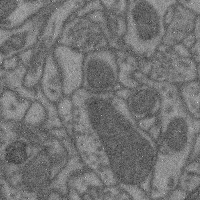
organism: Mouse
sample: Cerebral cortex